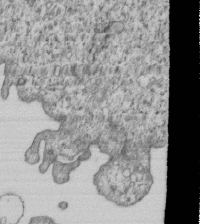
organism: Human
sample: MDA-MB-231 cells